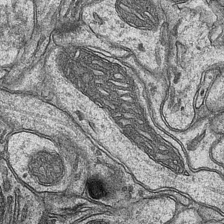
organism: Mouse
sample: CA1 Hippocampus